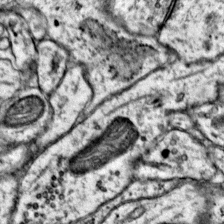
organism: Mouse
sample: Primary visual cortex